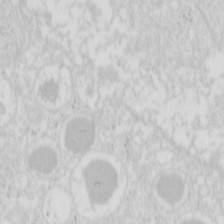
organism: Mouse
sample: Pancreas